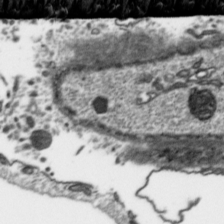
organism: Toxoplasma gondii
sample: Parasites in a vacuole inside a host cell